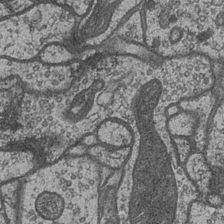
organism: Drosophila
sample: Optic medulla